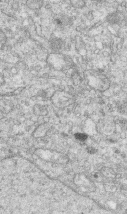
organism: Human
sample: HeLa cell HIV synapse